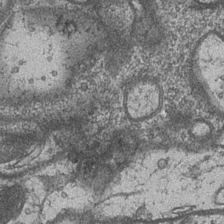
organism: Drosophila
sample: Optic medulla